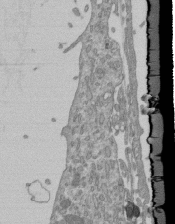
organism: Mouse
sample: ED-1 cell nuclei; centrioles